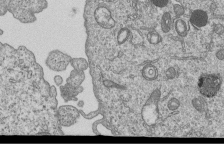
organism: Human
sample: MDA-MB-231 cells